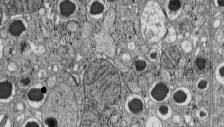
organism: C57BL Mouse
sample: Pancreatic islet